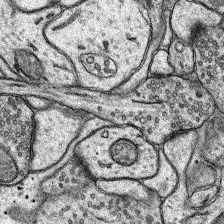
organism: Rat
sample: Hippocampus